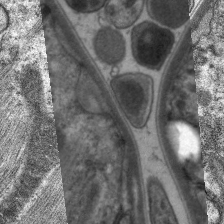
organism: C. elegans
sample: Pharynx